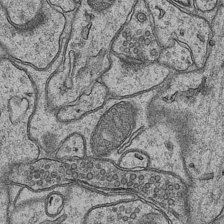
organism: Mouse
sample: CA1 Hippocampus